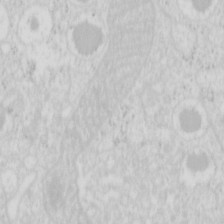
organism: Mouse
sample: Pancreas